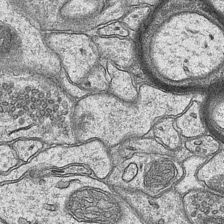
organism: Mouse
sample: CA1 Hippocampus